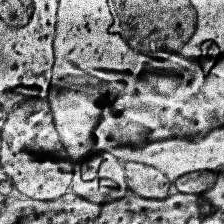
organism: Human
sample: Temporal Lobe